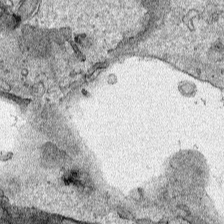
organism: Human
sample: Mitochondria in HCT116 cells